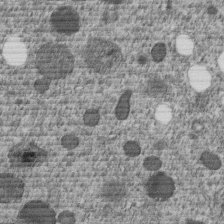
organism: C. elegans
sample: C. elegans embryo early stage